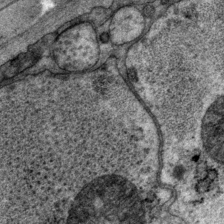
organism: P. pacificus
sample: Pharynx